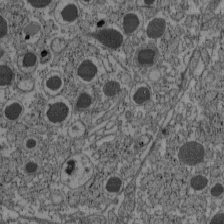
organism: C57BL Mouse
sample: Pancreatic islet